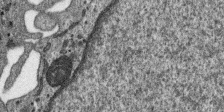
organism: Human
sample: Lung epithelial cells infected with SARS-CoV-2